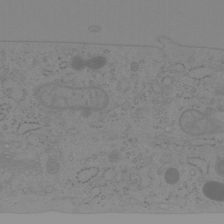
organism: Human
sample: HeLa cells